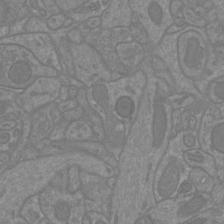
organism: Mouse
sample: Cortical neurons